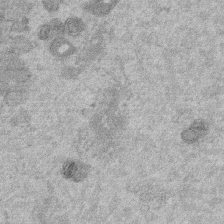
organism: Mouse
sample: Dividing mouse embryo 1 cell stage